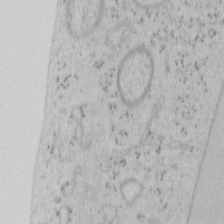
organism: Human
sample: HeLa cells